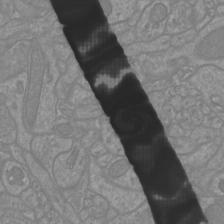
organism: Mouse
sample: Cortical neurons